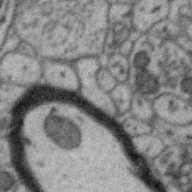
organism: Zebra finch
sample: Brain